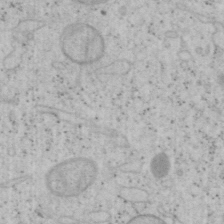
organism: Human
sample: HeLa cells